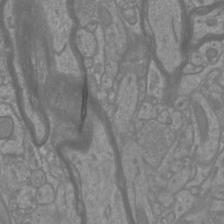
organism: Mouse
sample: Cortical neurons